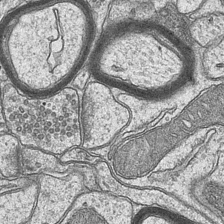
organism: Mouse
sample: CA1 Hippocampus